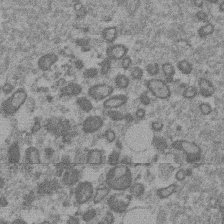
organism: Mouse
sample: Dividing mouse embryo 1 cell stage